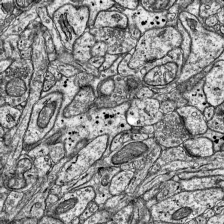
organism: Mouse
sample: Visual Cortex